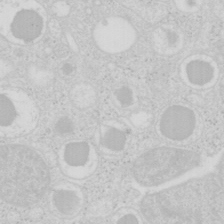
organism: Mouse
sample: Pancreas